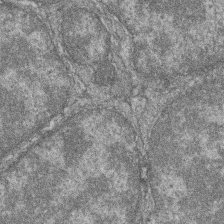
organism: Zebrafish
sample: Cilia; retinal pigment epithelium